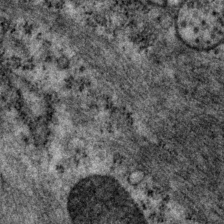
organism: P. pacificus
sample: Pharynx